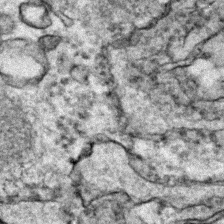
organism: Zebrafish